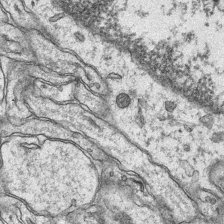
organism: Mouse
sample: CA1 Hippocampus